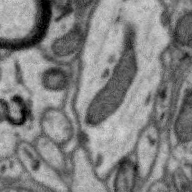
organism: Zebra finch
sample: Brain